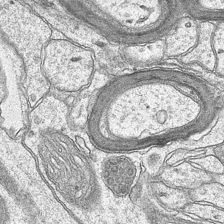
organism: Mouse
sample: CA1 Hippocampus